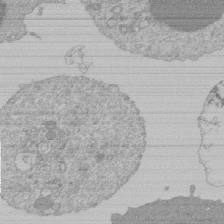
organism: Mouse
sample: Activated Pmel transgenic CD8+ T Cells